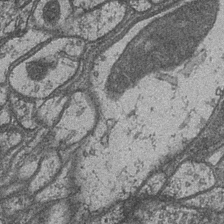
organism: Drosophila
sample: Optic medulla